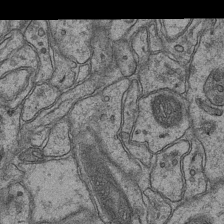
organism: Mouse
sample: CA1 Hippocampus